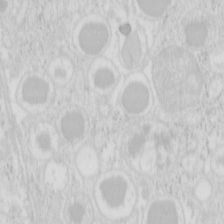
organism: Mouse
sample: Pancreas